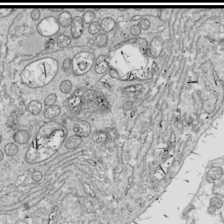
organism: Drosophila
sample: Cell division; meiosis; drosophila spermatocytes